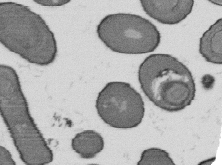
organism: B. subtilis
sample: Bacterial spore